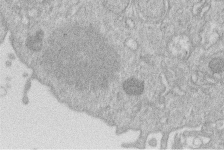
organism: Human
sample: Macrophage cells